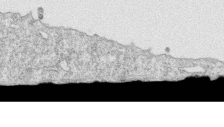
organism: Human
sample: HeLa cell HIV synapse